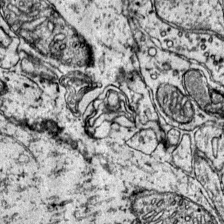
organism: Mouse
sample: Primary visual cortex